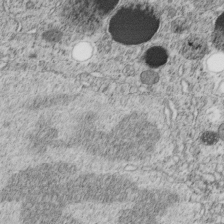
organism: C. elegans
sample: C. elegans embryo early stage